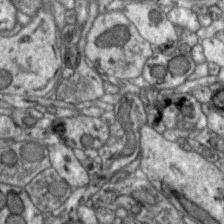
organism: Zebra finch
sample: Brain